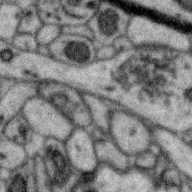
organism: Zebra finch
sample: Brain